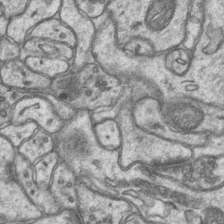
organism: Mouse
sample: CA1 Hippocampus